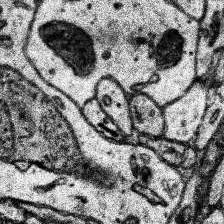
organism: Human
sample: Temporal Lobe